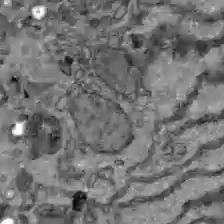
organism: C57BL Mouse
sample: Liver